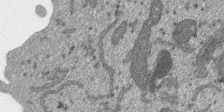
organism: Human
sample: Lung epithelial cells infected with SARS-CoV-2